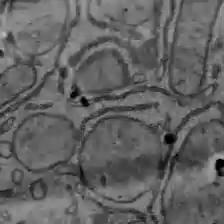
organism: C57BL Mouse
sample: Liver